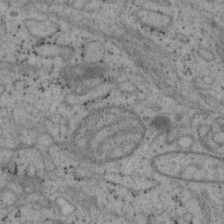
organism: Human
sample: HeLa cells